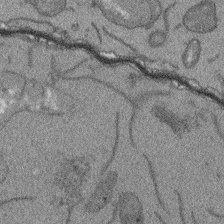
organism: Arabidopsis thaliana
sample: Root tip